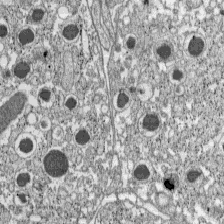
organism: C57BL Mouse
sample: Pancreatic islet